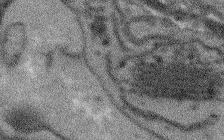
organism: Arabidopsis thaliana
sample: Root tip